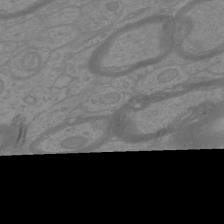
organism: Mouse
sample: Cortical neurons